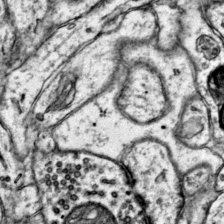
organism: Mouse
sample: Primary visual cortex